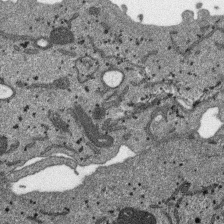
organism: Human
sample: Lung epithelial cells infected with SARS-CoV-2